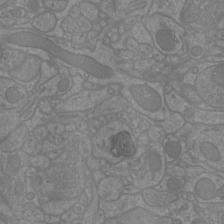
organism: Mouse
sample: Cortical neurons